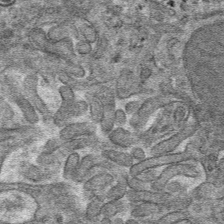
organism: Mouse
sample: Mouse hepatocytes